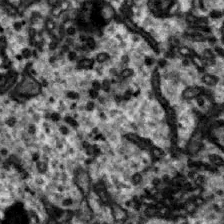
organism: Human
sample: HeLa cells